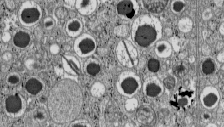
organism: C57BL Mouse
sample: Pancreatic islet